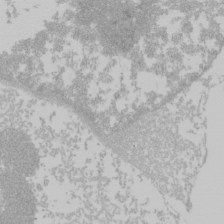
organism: Mouse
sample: Cancer cell death in ED-1 cells